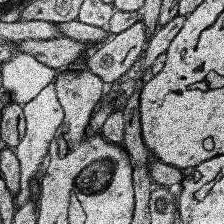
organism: Human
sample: Temporal Lobe